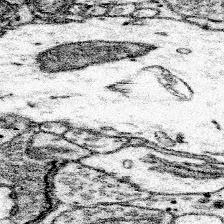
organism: Mouse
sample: Somatosensory cortex neuropil